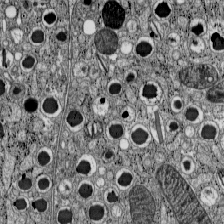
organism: C57BL Mouse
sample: Pancreatic islet